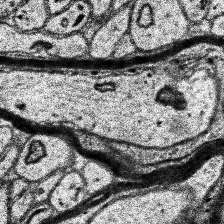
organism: Human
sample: Temporal Lobe